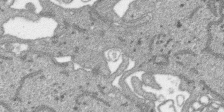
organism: Human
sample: Lung epithelial cells infected with SARS-CoV-2